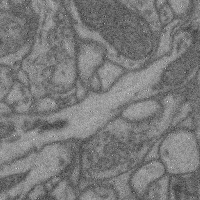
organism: Mouse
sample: Cerebral cortex